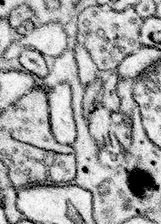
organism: Mouse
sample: Somatosensory cortex neuropil